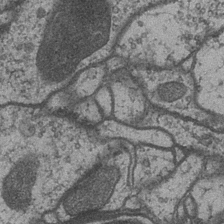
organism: Drosophila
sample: Optic medulla